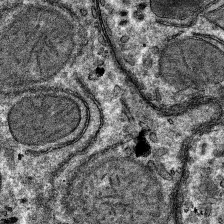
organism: Mouse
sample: Mouse hepatocytes